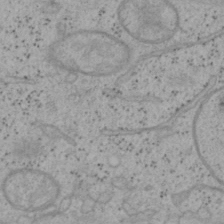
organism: Human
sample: HeLa cells